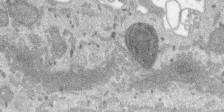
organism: Human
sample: Lung epithelial cells infected with SARS-CoV-2